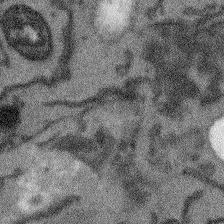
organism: Arabidopsis thaliana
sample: Root tip